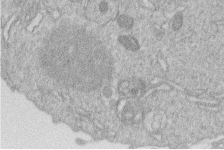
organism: Human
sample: Macrophage cells